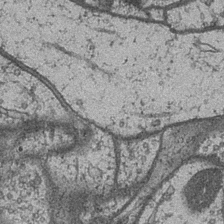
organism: Drosophila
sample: Optic medulla